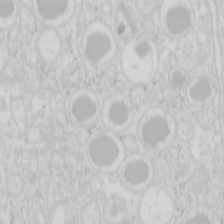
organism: Mouse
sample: Pancreas